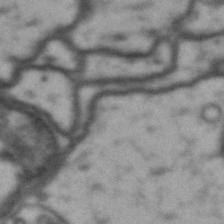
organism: Drosophila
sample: Brain